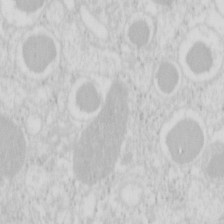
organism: Mouse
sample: Pancreas